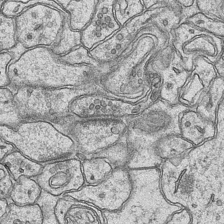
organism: Mouse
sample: CA1 Hippocampus